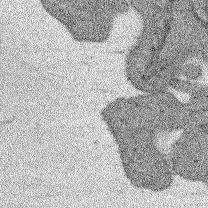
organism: Human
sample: HeLa cells